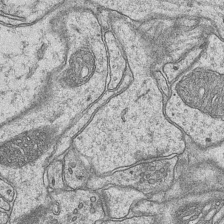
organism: Mouse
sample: CA1 Hippocampus